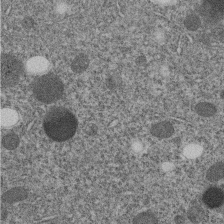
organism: C. elegans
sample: C. elegans embryo early stage